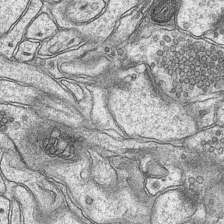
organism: Mouse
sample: CA1 Hippocampus